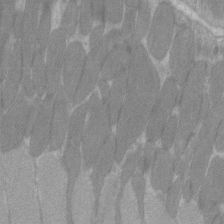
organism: C57BL Mouse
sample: Tibialis anterior muscle cell